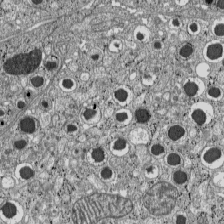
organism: C57BL Mouse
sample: Pancreatic islet